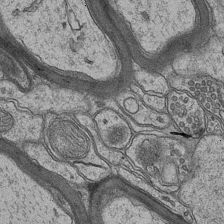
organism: Mouse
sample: CA1 Hippocampus